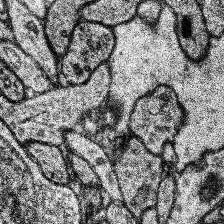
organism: Human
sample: Temporal Lobe